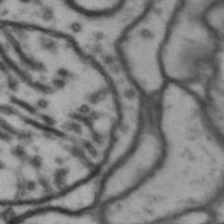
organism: Drosophila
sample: Brain